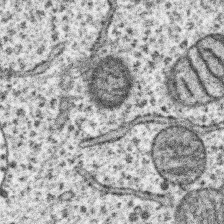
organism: Human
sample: HeLa cells